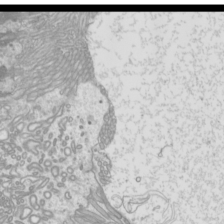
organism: Mouse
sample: Cilia; mouse epididymis